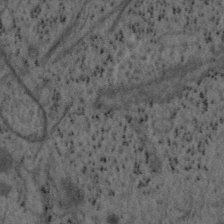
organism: Human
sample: HeLa cells